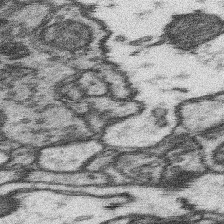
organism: Mouse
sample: Somatosensory cortex neuropil